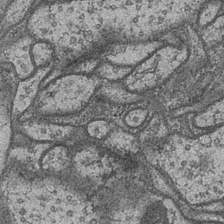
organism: Drosophila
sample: Optic medulla